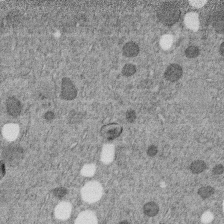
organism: C. elegans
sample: C. elegans embryo early stage